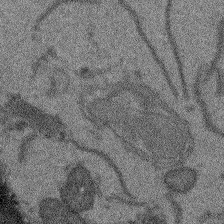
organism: Arabidopsis thaliana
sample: Root tip